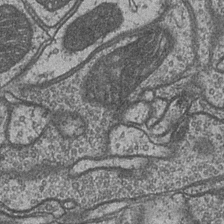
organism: Drosophila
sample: Optic medulla